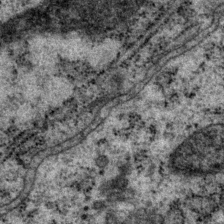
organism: P. pacificus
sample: Pharynx